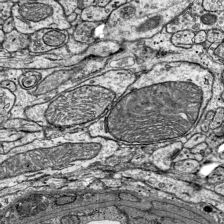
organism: Mouse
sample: Visual Cortex